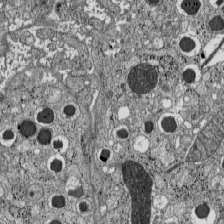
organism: C57BL Mouse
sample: Pancreatic islet